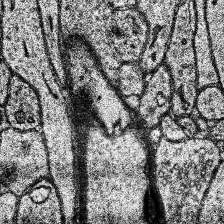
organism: Human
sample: Temporal Lobe